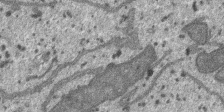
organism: Human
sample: Lung epithelial cells infected with SARS-CoV-2